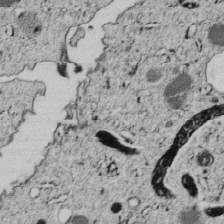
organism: C. elegans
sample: C. elegans embryo early stage